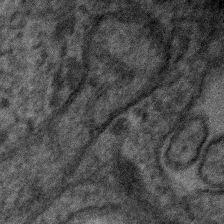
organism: Human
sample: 1205lu cells